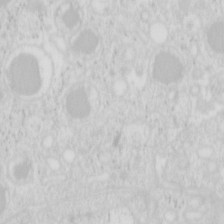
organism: Mouse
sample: Pancreas